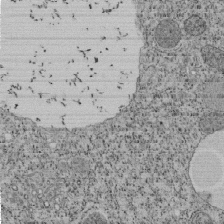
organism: Tetrahymena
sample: Cilia in tetrahymena